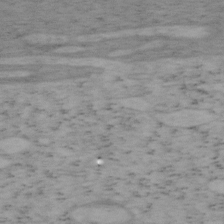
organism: Mouse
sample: OT-I killer T cells with ID8 ovarian cancer cells